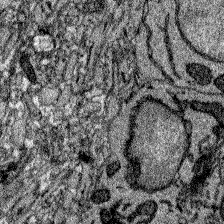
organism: Zebrafish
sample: Larval olfactory bulb